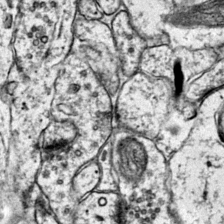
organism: Mouse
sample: Primary visual cortex